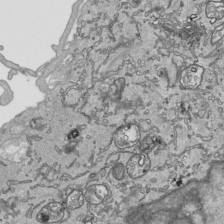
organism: Human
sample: Mitochondria in HCT116 cells